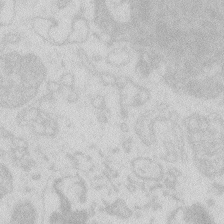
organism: Zebrafish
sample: Macrophage